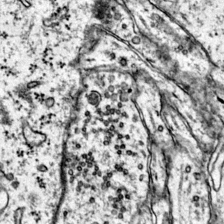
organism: Mouse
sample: Primary visual cortex